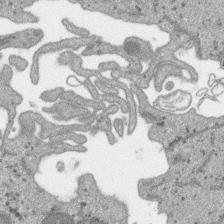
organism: Human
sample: Lung epithelial cells infected with SARS-CoV-2